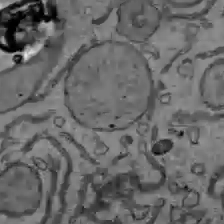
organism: C57BL Mouse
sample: Liver